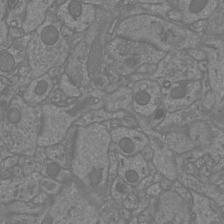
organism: Mouse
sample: Cortical neurons